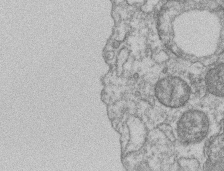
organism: Mouse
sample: T cell stromal cell synapse